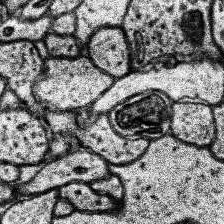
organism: Human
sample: Temporal Lobe